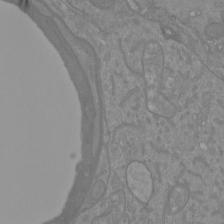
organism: Mouse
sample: Cortical neurons